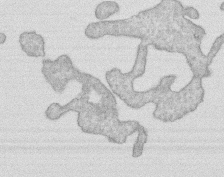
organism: Human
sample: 1205lu cells